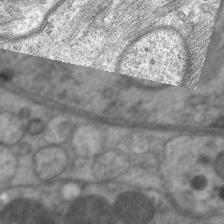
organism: C. elegans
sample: Pharynx